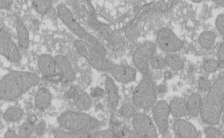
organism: Xenopus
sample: Cilia; centrioles in frog embryo cells